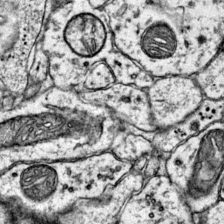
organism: Mouse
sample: Primary visual cortex